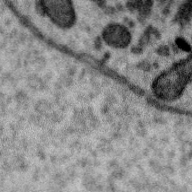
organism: Zebra finch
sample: Brain